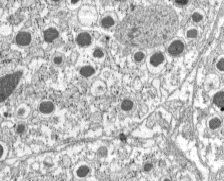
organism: C57BL Mouse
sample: Pancreatic islet